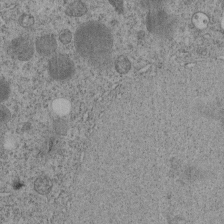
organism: C. elegans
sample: C. elegans embryo early stage